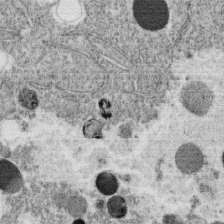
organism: C. elegans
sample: C. elegans oocyte; sperm cells